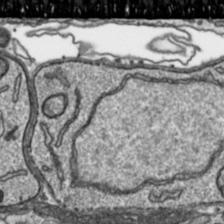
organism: Toxoplasma gondii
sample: Parasites in a vacuole inside a host cell